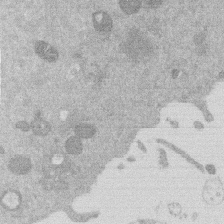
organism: Mouse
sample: Dividing mouse embryo 1 cell stage